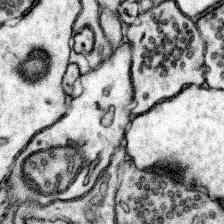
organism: Mouse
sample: Somatosensory cortex neuropil